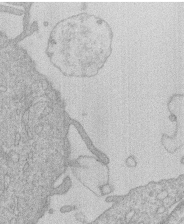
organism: Human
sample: Macrophage cells